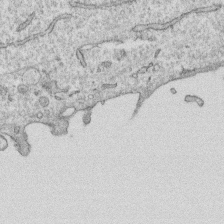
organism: Human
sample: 1205lu cells